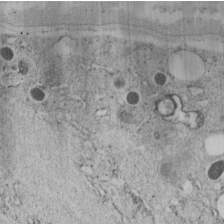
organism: C. elegans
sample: C. elegans embryo early stage